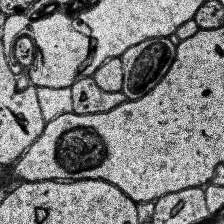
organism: Human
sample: Temporal Lobe